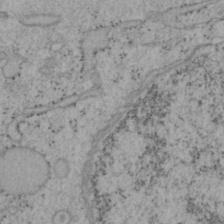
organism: Human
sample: HeLa cells